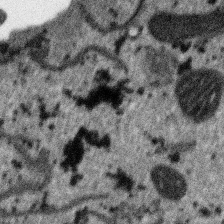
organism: Human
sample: Lung epithelial cells infected with SARS-CoV-2